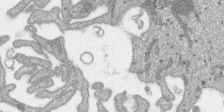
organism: Human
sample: Lung epithelial cells infected with SARS-CoV-2